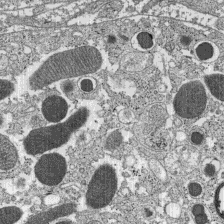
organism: C57BL Mouse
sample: Pancreatic islet